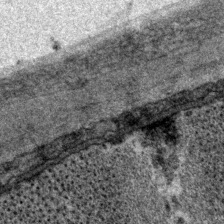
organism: P. pacificus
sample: Pharynx